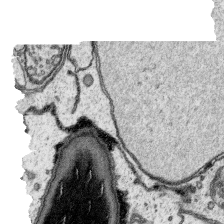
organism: Platynereis dumerilii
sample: Parapodia